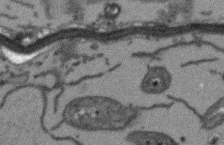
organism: Arabidopsis thaliana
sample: Root tip